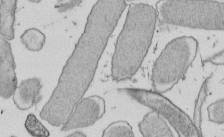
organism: E. coli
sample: Bacterial nucleoid